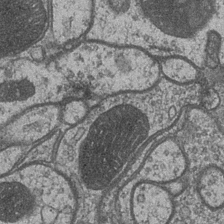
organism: Drosophila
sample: Optic medulla